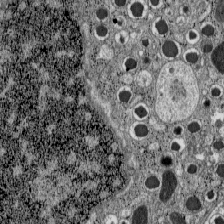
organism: C57BL Mouse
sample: Pancreatic islet